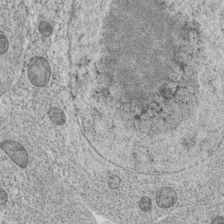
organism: C. elegans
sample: C. elegans oocyte; sperm cells